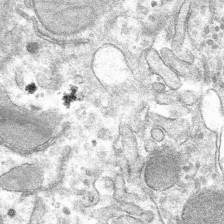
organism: Mouse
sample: Mouse hepatocytes